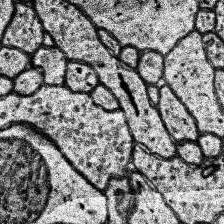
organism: Human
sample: Temporal Lobe